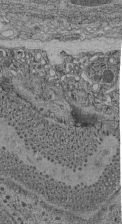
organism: C. elegans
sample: C. elegans pharynx